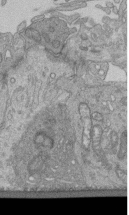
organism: Human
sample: Retinal organoid Rod and Cone cells